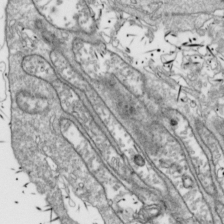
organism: Drosophila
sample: Cell division; meiosis; drosophila spermatocytes